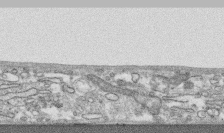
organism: Human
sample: CRL-1474